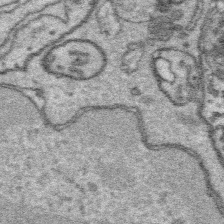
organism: Platynereis dumerilii